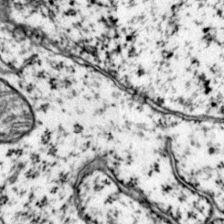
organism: Mouse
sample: Primary visual cortex